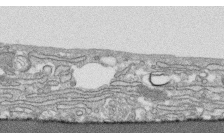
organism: Human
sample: CRL-1474